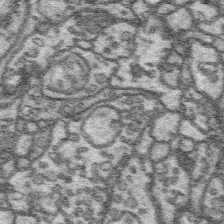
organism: Platynereis dumerilii